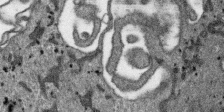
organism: Human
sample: Lung epithelial cells, uninfected (mock) control